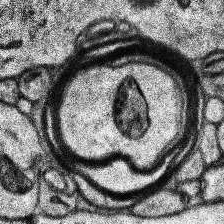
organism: Human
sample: Temporal Lobe